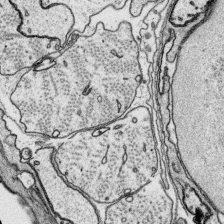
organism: Platynereis dumerilii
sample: Parapodia